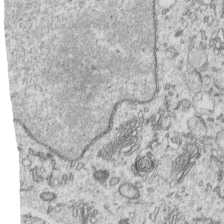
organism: Human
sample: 1205lu cells